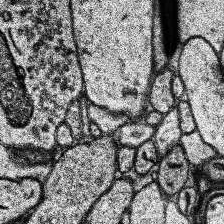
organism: Human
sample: Temporal Lobe